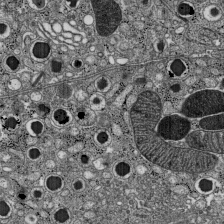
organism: C57BL Mouse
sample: Pancreatic islet